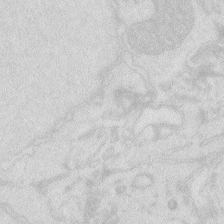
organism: Zebrafish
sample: Macrophage